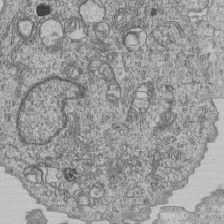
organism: Human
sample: MDA-MB-231 cells